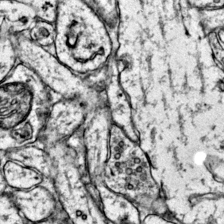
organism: Mouse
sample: Primary visual cortex